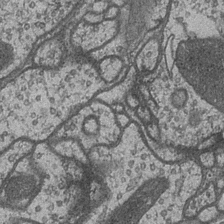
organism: Drosophila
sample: Optic medulla